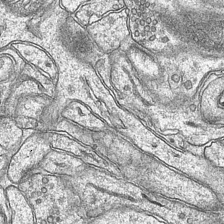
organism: Mouse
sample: CA1 Hippocampus